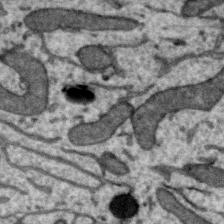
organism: Zebra finch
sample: Brain